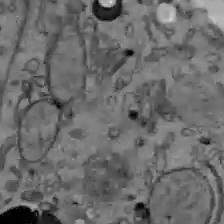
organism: C57BL Mouse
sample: Liver